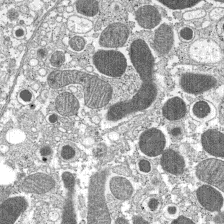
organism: C57BL Mouse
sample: Pancreatic islet